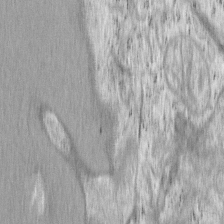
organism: Human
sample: HeLa cells